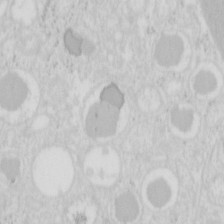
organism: Mouse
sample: Pancreas